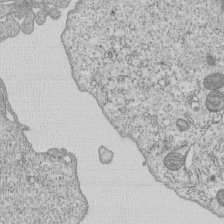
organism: Human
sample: MDA-MB-231 cells